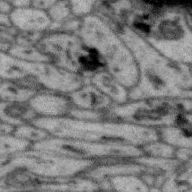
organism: Zebra finch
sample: Brain